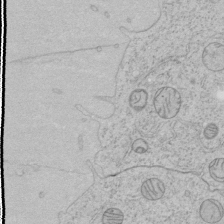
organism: Human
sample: Mitochondria in HCT116 cells